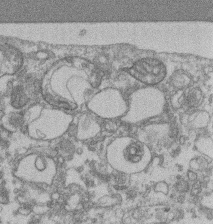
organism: Mouse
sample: T cell stromal cell synapse